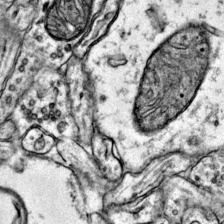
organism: Mouse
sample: Primary visual cortex